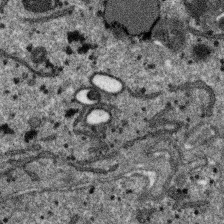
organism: Human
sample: Lung epithelial cells infected with SARS-CoV-2